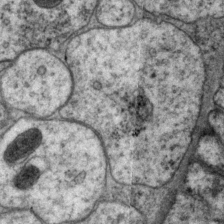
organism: P. pacificus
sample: Pharynx